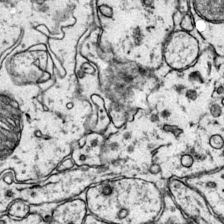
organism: Mouse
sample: Primary visual cortex